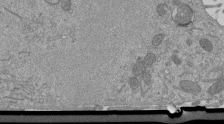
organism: Mouse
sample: ED-1 cell nuclei; centrioles